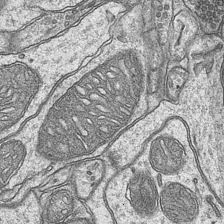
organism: Mouse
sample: CA1 Hippocampus